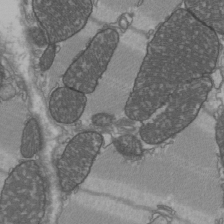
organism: C57BL Mouse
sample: Heart